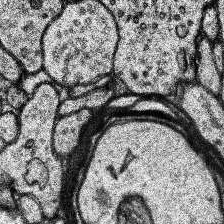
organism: Human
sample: Temporal Lobe